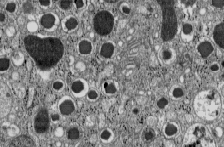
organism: C57BL Mouse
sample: Pancreatic islet